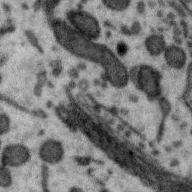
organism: Zebra finch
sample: Brain